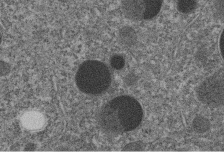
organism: C. elegans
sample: C. elegans embryo early stage